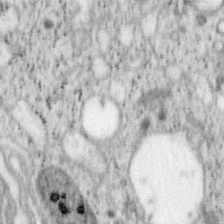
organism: Mouse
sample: OT-I killer T cells with ID8 ovarian cancer cells